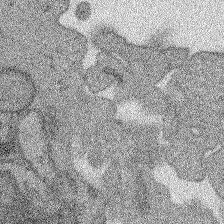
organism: Human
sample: HeLa cells